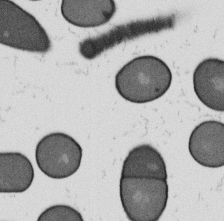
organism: B. subtilis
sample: Bacterial spore